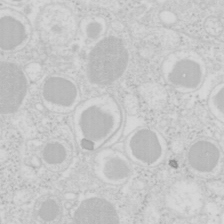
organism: Mouse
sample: Pancreas